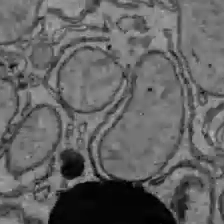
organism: C57BL Mouse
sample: Liver